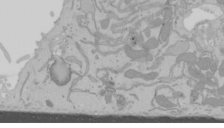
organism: Mouse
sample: Cancer cell death in ED-1 cells